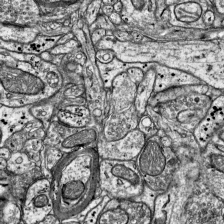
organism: Mouse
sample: Visual Cortex